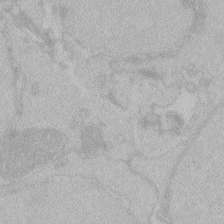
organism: Zebrafish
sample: Macrophage infected with Toxoplasma gondii